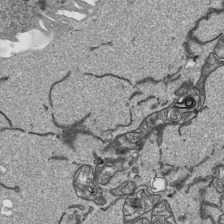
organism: Human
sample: Mitochondria in HCT116 cells